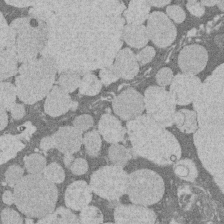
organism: Rat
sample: Salivary granule